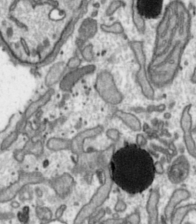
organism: Toxoplasma gondii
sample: Parasites in a vacuole inside a host cell